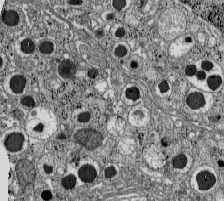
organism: C57BL Mouse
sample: Pancreatic islet